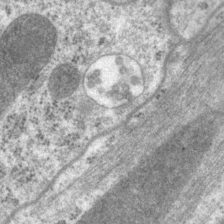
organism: P. pacificus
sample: Pharynx